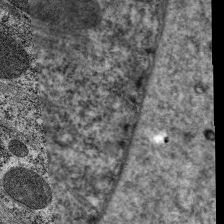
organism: C. elegans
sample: Pharynx